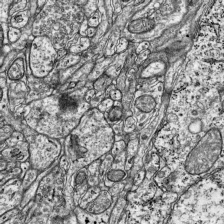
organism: Mouse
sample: Visual Cortex